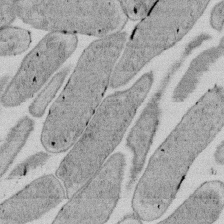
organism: E. coli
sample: Bacterial nucleoid